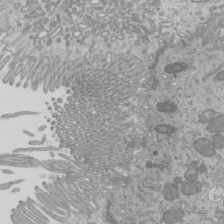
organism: Mouse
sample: Cilia; mouse epididymis